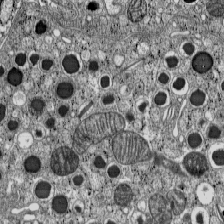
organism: C57BL Mouse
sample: Pancreatic islet